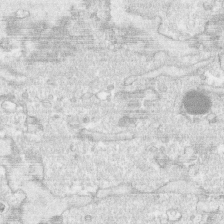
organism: Human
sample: CRL-1474